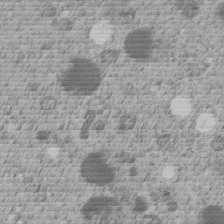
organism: C. elegans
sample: C. elegans embryo early stage